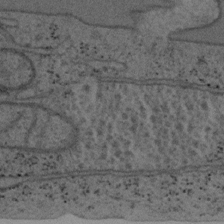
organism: Human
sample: HeLa cells